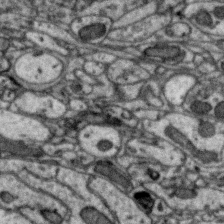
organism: Zebra finch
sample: Brain